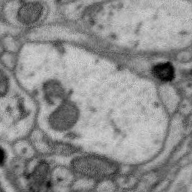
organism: Zebra finch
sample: Brain